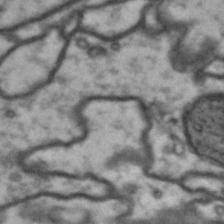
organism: Drosophila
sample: Brain